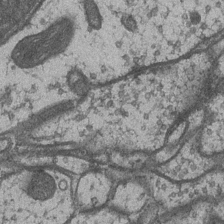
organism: Drosophila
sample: Optic medulla